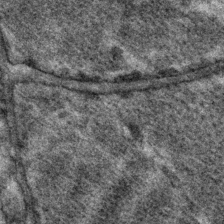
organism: P. pacificus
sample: Pharynx